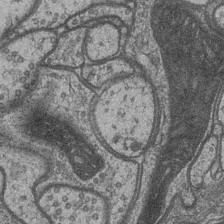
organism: Drosophila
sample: Optic medulla